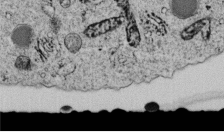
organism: C. elegans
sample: C. elegans embryo early stage